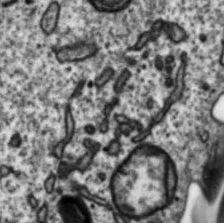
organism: Human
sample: HeLa cells